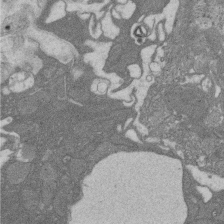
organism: Rat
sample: Salivary granule